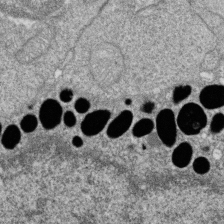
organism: Zebrafish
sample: Cilia; retinal pigment epithelium